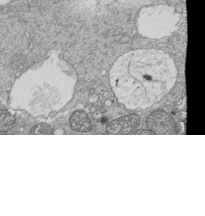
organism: Tetrahymena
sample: Cilia in tetrahymena